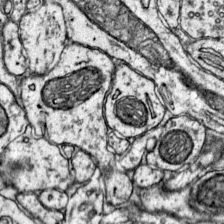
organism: Mouse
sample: Primary visual cortex